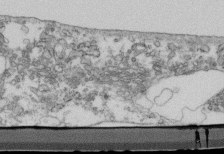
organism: Mouse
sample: Cilia; retinal pigment epithelium